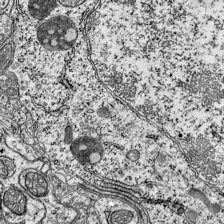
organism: Mouse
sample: Visual Cortex